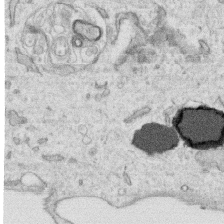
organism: Human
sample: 1205lu cells